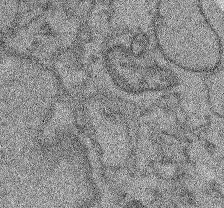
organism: Human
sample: HeLa cells